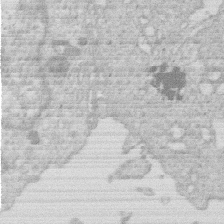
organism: Human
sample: Macrophage cells